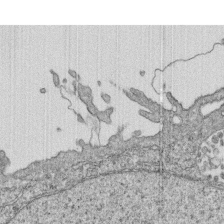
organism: Human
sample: HeLa cell HIV synapse